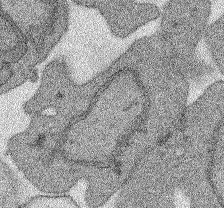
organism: Human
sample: HeLa cells